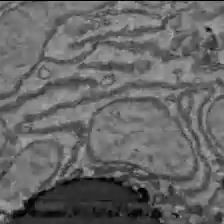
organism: C57BL Mouse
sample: Liver